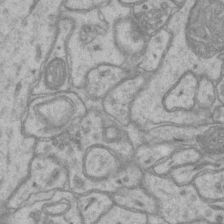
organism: Mouse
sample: CA1 Hippocampus